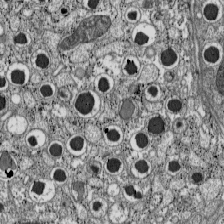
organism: C57BL Mouse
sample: Pancreatic islet